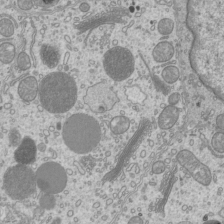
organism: Mouse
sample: Cilia; mouse epididymis